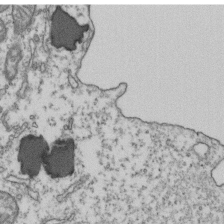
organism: Human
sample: Activated Jurkat CD4+ T cells